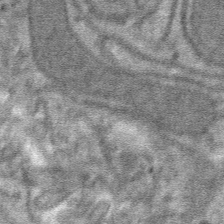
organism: Mouse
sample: Mouse hepatocytes